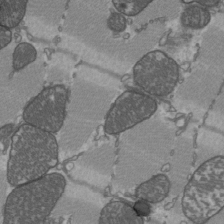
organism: C57BL Mouse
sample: Heart